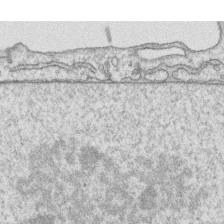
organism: Human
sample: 1205lu cells